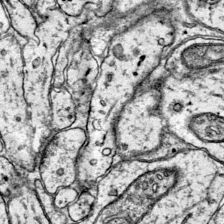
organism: Mouse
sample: Primary visual cortex